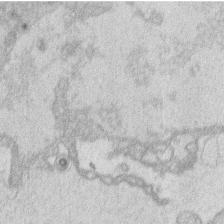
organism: Human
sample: Macrophage cells